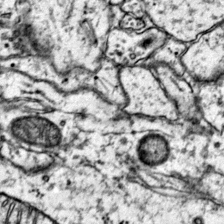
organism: Mouse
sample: Primary visual cortex